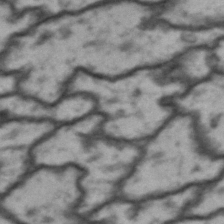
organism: Drosophila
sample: Brain